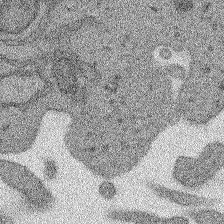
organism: Human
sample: HeLa cells